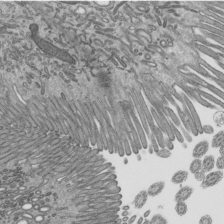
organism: Mouse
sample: Mouse epididymis efferent ductule cilia